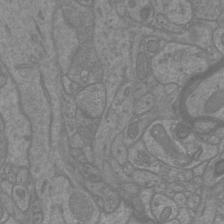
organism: Mouse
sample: Cortical neurons